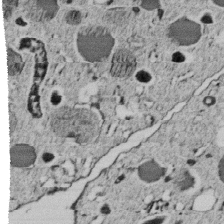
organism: C. elegans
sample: C. elegans embryo early stage